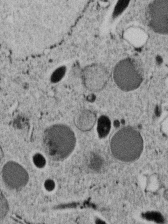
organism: C. elegans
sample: C. elegans embryo early stage